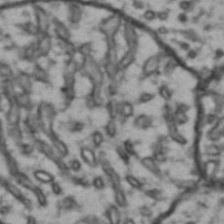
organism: Drosophila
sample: Brain